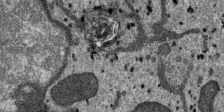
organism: Human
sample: Lung epithelial cells, uninfected (mock) control